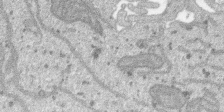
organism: Human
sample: Lung epithelial cells infected with SARS-CoV-2